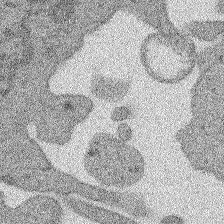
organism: Human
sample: HeLa cells